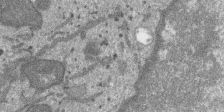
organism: Human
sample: Lung epithelial cells infected with SARS-CoV-2